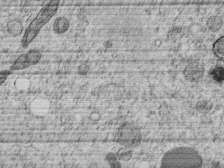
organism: C. elegans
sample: C. elegans embryo early stage